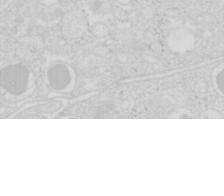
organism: Mouse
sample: Pancreas